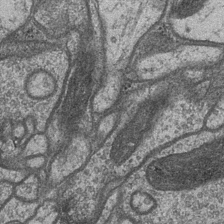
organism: Drosophila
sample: Optic medulla